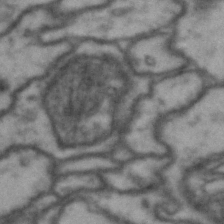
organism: Drosophila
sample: Brain